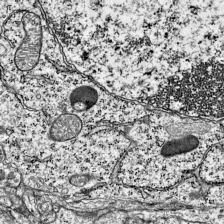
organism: Mouse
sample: Visual Cortex